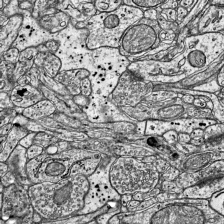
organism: Mouse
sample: Visual Cortex